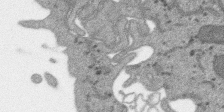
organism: Human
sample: Lung epithelial cells infected with SARS-CoV-2